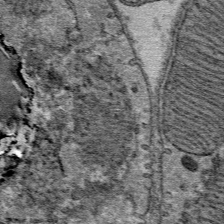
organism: Mouse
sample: Mouse Salivary gland